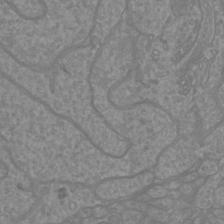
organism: Mouse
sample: Cortical neurons